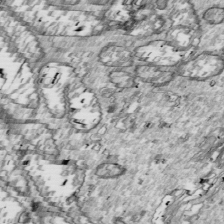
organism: Drosophila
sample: Cell division; meiosis; drosophila spermatocytes